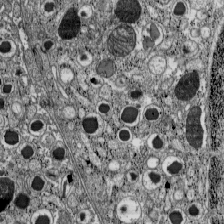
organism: C57BL Mouse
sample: Pancreatic islet